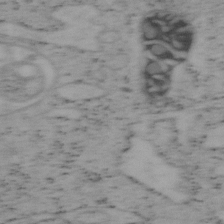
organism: Mouse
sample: OT-I killer T cells with ID8 ovarian cancer cells